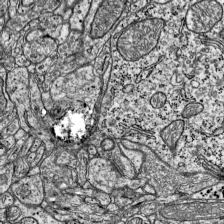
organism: Mouse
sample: Visual Cortex